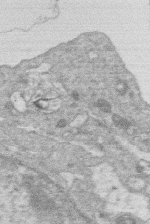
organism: Human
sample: Macrophage cells